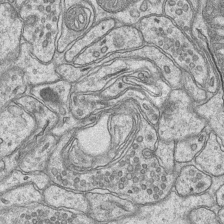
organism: Mouse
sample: CA1 Hippocampus